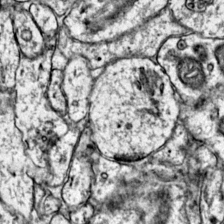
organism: Mouse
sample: Primary visual cortex